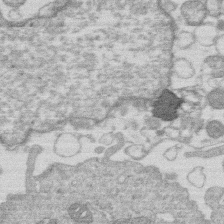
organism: Human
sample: Macrophage cells